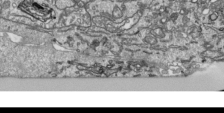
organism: Human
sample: Mitochondria in HCT116 cells